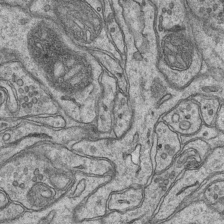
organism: Mouse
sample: CA1 Hippocampus